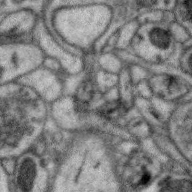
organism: Zebra finch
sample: Brain